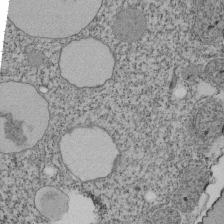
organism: Tetrahymena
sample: Cilia in tetrahymena